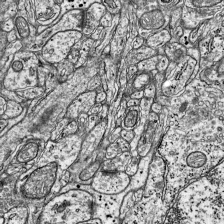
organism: Mouse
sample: Visual Cortex